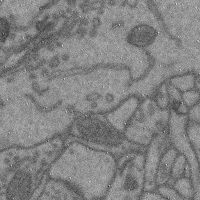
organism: Mouse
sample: Cerebral cortex